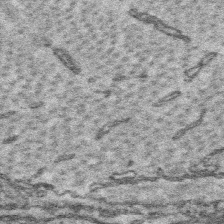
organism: Platynereis dumerilii